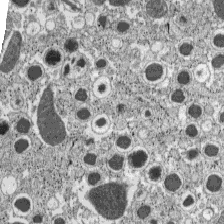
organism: C57BL Mouse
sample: Pancreatic islet